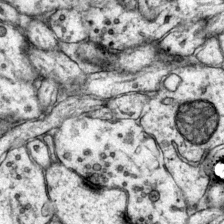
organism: Mouse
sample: Primary visual cortex